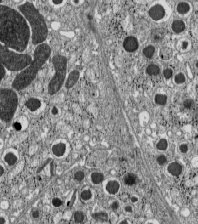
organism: C57BL Mouse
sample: Pancreatic islet